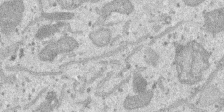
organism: Human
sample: Lung epithelial cells infected with SARS-CoV-2